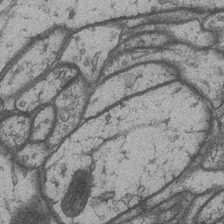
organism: Drosophila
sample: Optic medulla